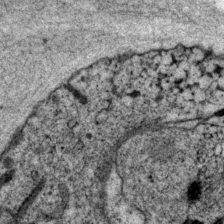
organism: P. pacificus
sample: Pharynx